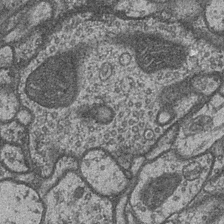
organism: Drosophila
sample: Optic medulla